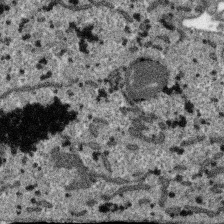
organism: Human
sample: Lung epithelial cells infected with SARS-CoV-2